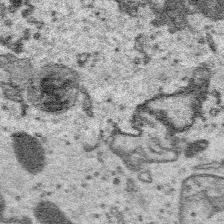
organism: Platynereis dumerilii